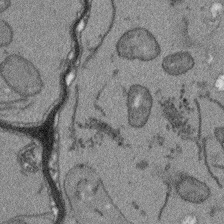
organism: Arabidopsis thaliana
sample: Root tip